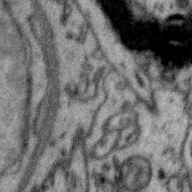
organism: Zebra finch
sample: Brain